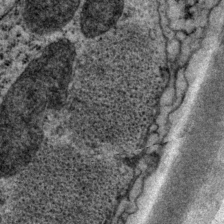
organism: P. pacificus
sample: Pharynx